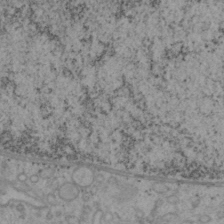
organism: Human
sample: HeLa cells